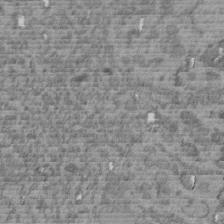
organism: C. elegans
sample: C. elegans embryo early stage